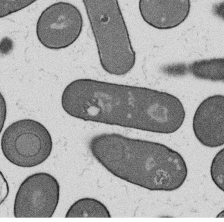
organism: B. subtilis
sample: Bacterial spore